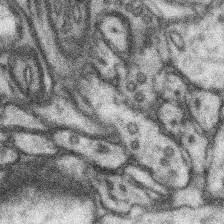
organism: Mouse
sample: Somatosensory cortex neuropil